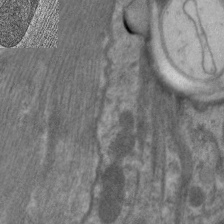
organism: C. elegans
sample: Pharynx